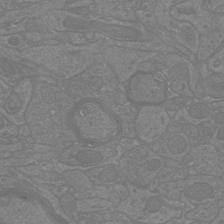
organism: Mouse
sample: Cortical neurons